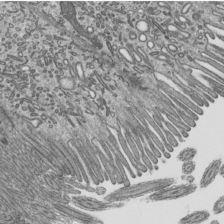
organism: Mouse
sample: Mouse epididymis efferent ductule cilia